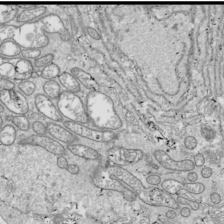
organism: Drosophila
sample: Cell division; meiosis; drosophila spermatocytes